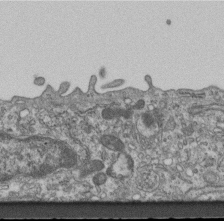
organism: Mouse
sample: Centriole in ependymal cells